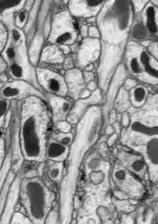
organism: Drosophila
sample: Optic lobe